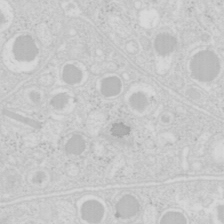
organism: Mouse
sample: Pancreas